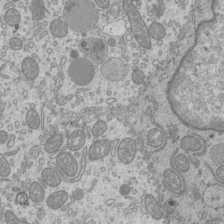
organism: Mouse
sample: Cilia; mouse epididymis